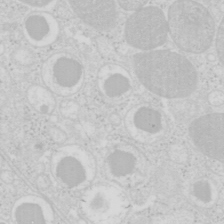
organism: Mouse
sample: Pancreas